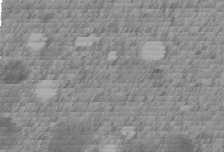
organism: C. elegans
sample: C. elegans embryo early stage